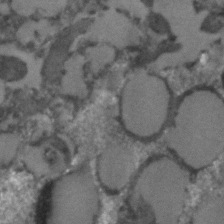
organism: C. elegans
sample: C. elegans embryo